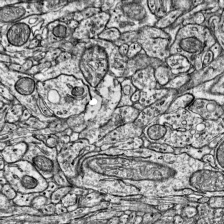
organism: Mouse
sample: Visual Cortex